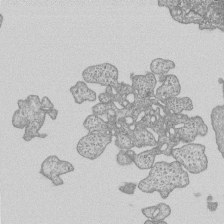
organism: Human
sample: MDA-MB-231 cells